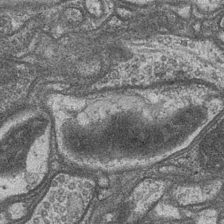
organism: Drosophila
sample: Optic medulla